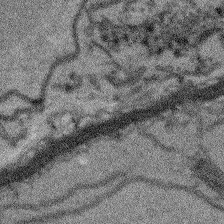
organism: Arabidopsis thaliana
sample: Root tip